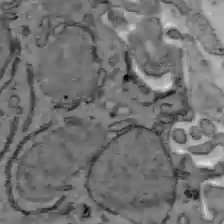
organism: C57BL Mouse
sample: Liver